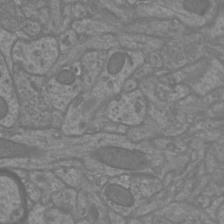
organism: Mouse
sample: Cortical neurons